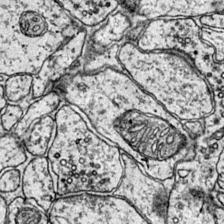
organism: Mouse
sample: Primary visual cortex